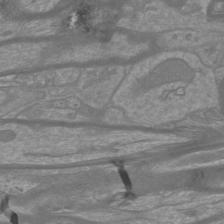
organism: Mouse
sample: Cortical neurons